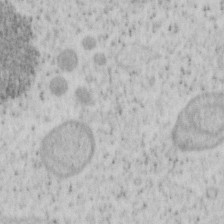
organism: Human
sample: HeLa cells